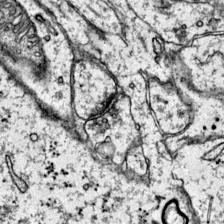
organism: Mouse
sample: Primary visual cortex